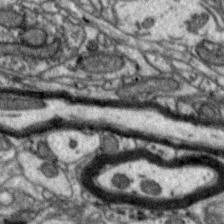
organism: Zebra finch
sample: Brain